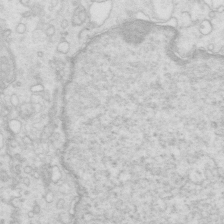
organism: Mouse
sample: Multiciliated cells